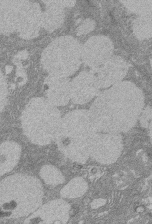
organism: Rat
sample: Salivary granule